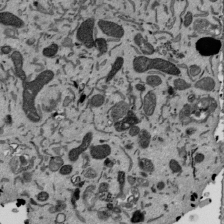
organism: Mouse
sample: ED-1 cell nuclei; centrioles